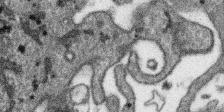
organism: Human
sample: Lung epithelial cells infected with SARS-CoV-2